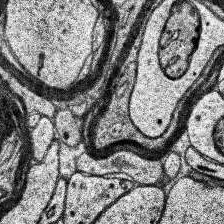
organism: Human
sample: Temporal Lobe